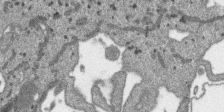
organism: Human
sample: Lung epithelial cells infected with SARS-CoV-2